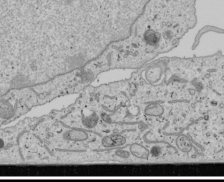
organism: Human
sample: Mitochondria in U2OS cells